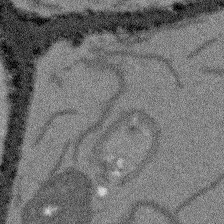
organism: Arabidopsis thaliana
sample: Root tip